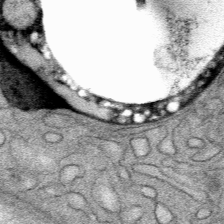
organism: Mouse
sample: Mouse Salivary gland